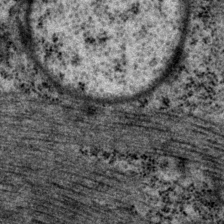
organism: P. pacificus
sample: Pharynx